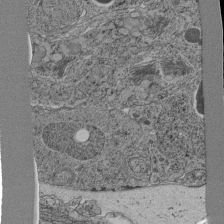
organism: C. elegans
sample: C. elegans pharynx